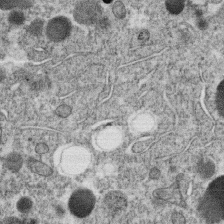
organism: C. elegans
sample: C. elegans oocyte; sperm cells